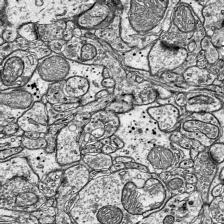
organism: Mouse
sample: Visual Cortex